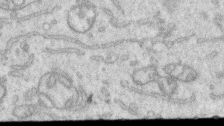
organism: Human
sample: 1205lu cells